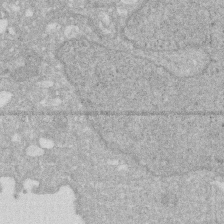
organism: Human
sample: HIV infected U937 cells